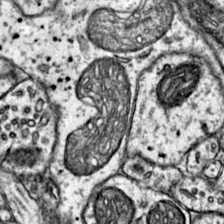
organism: Mouse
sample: Primary visual cortex